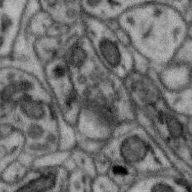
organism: Zebra finch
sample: Brain